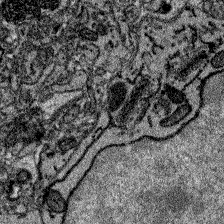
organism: Zebrafish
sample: Larval olfactory bulb